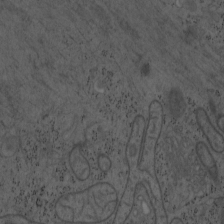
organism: Mouse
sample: OT-I killer T cells with ID8 ovarian cancer cells